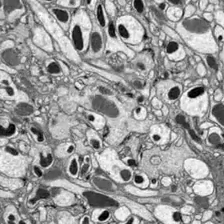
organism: Drosophila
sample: Optic lobe